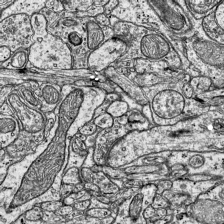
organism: Mouse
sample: Visual Cortex